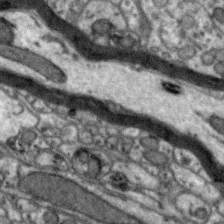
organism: Zebra finch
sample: Brain